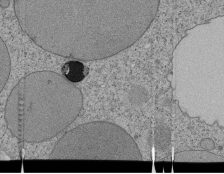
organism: Tetrahymena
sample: Cilia in tetrahymena